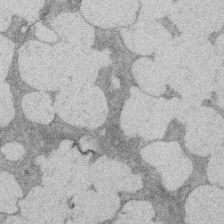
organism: Rat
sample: Salivary granule